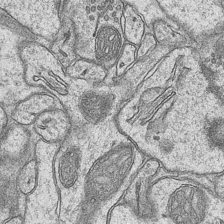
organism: Mouse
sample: CA1 Hippocampus